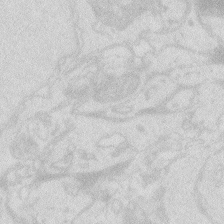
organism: Zebrafish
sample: Macrophage